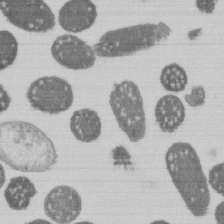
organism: E. coli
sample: Bacterial nucleoid